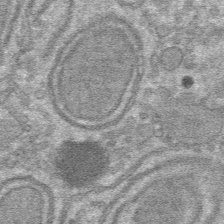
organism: Mouse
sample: Mouse hepatocytes